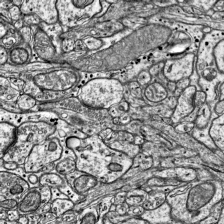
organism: Mouse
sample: Visual Cortex